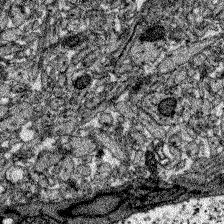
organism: Zebrafish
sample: Larval olfactory bulb